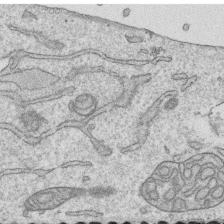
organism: Human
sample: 1205lu cells